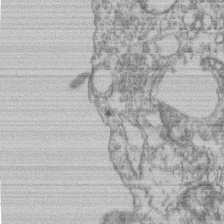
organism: Mouse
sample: T cell stromal cell synapse